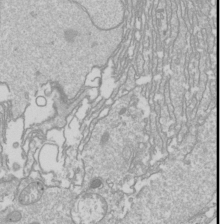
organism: Drosophila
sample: Cell division; meiosis; drosophila spermatocytes